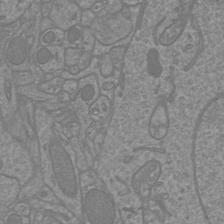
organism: Mouse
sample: Cortical neurons